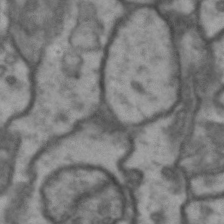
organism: Drosophila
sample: Brain